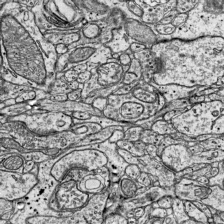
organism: Mouse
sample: Visual Cortex